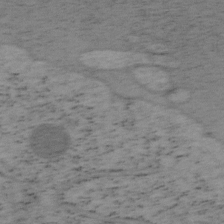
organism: Mouse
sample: OT-I killer T cells with ID8 ovarian cancer cells